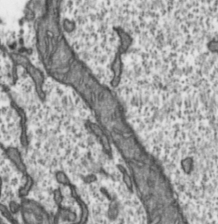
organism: Toxoplasma gondii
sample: Parasites in a vacuole inside a host cell